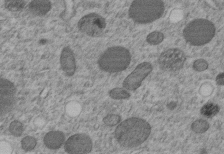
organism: C. elegans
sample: C. elegans embryo early stage